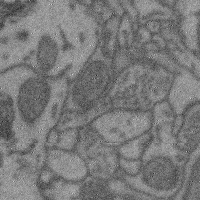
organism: Mouse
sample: Cerebral cortex